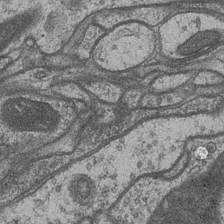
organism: Drosophila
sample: Optic medulla